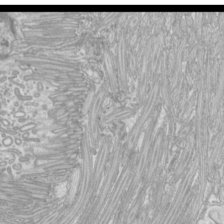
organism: Mouse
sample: Cilia; mouse epididymis